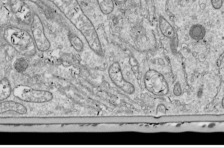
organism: Drosophila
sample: Cell division; meiosis; drosophila spermatocytes